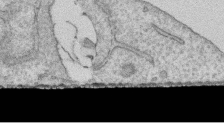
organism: Human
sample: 1205lu cells